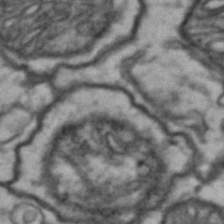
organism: Drosophila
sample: Brain